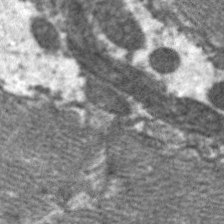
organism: C. elegans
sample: Pharynx